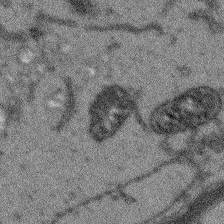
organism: Arabidopsis thaliana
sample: Root tip